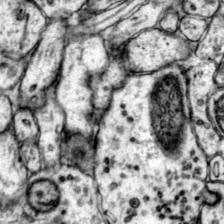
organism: Mouse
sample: Primary visual cortex